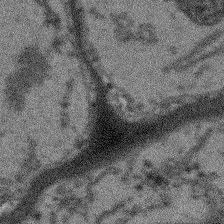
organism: Arabidopsis thaliana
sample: Root tip